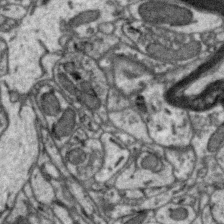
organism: Zebra finch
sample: Brain